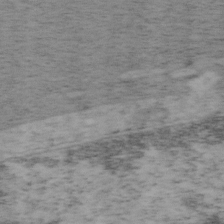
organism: Mouse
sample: OT-I killer T cells with ID8 ovarian cancer cells